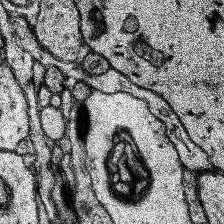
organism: Human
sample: Temporal Lobe